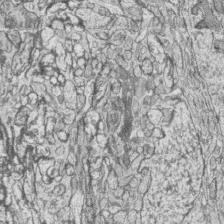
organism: Zebrafish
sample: synaptic ribbons in rod cells and cone cells